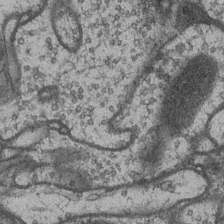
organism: Drosophila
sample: Optic medulla